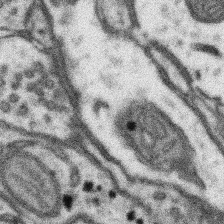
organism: Mouse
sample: Somatosensory cortex neuropil